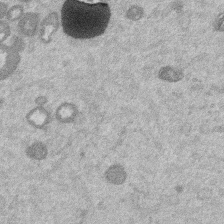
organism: Mouse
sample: Dividing mouse embryo 1 cell stage